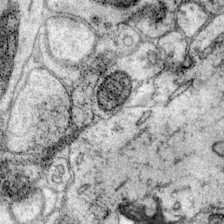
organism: Mouse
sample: Primary visual cortex